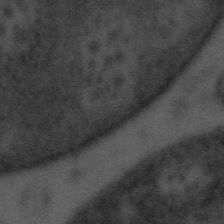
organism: Tuwongella immobilis